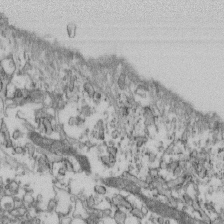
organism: Mouse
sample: Cilia; retinal pigment epithelium